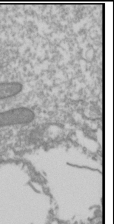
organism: Drosophila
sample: Cell division; meiosis; drosophila spermatocytes